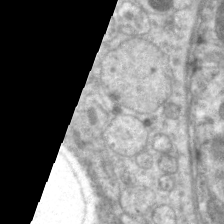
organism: C. elegans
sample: Pharynx